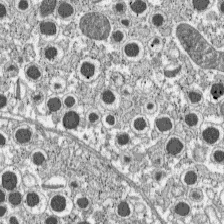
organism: C57BL Mouse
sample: Pancreatic islet